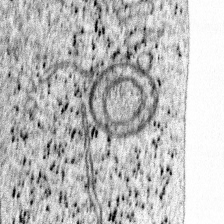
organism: Human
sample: HeLa cells